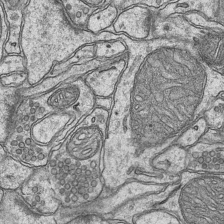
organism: Mouse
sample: CA1 Hippocampus